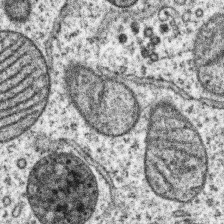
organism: Human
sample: HeLa cells